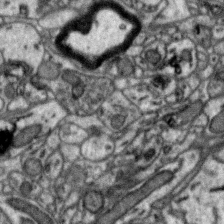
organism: Zebra finch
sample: Brain